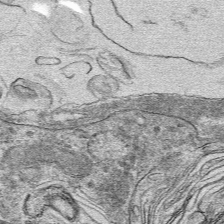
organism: Mouse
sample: Mouse hepatocytes